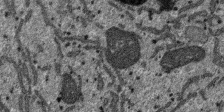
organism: Human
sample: Lung epithelial cells infected with SARS-CoV-2